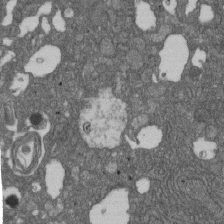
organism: Drosophila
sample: Nephrocyte